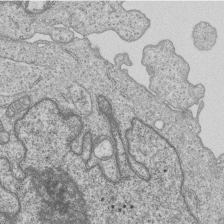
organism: Human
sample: MDA-MB-231 cells